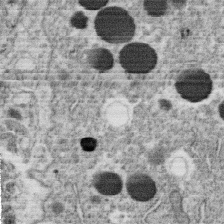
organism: C. elegans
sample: C. elegans oocyte; sperm cells